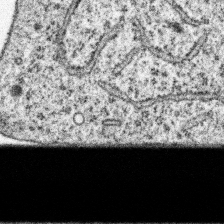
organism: Human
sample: HeLa cells